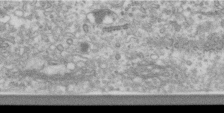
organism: Human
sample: Centriole in RPE cells